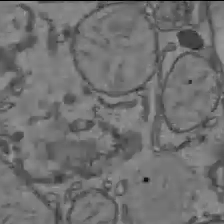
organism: C57BL Mouse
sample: Liver